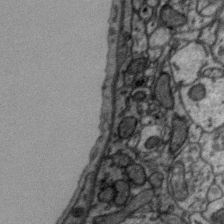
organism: Zebra finch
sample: Brain